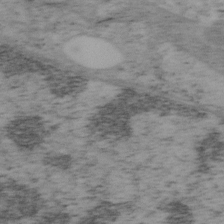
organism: Mouse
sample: OT-I killer T cells with ID8 ovarian cancer cells